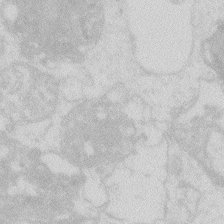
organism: Zebrafish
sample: Macrophage